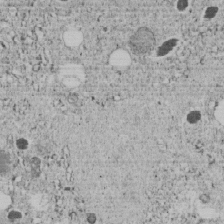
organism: C. elegans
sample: C. elegans embryo early stage